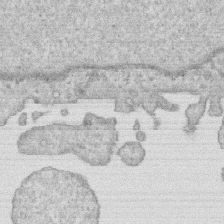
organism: Human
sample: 1205lu cells